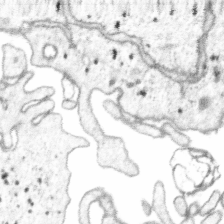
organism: Human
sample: HeLa cells